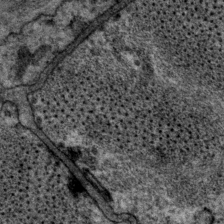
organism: P. pacificus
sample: Pharynx